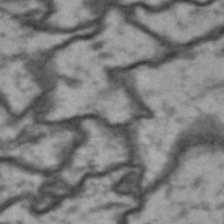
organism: Drosophila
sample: Brain